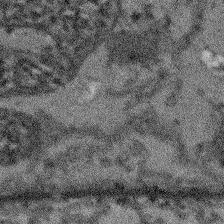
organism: Arabidopsis thaliana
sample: Root tip